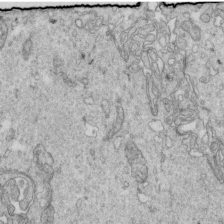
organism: Mouse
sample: Multiciliated cells